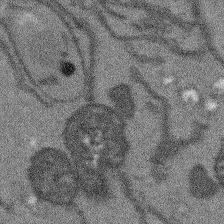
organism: Arabidopsis thaliana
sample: Root tip